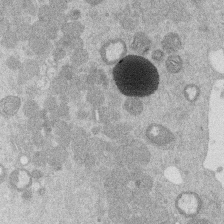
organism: Mouse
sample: Dividing mouse embryo 1 cell stage